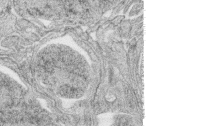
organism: Zebrafish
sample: synaptic ribbons in rod cells and cone cells